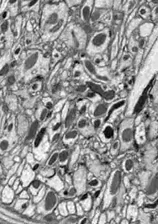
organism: Drosophila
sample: Optic lobe